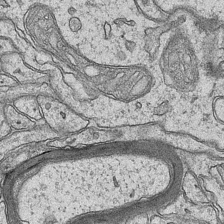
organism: Mouse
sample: CA1 Hippocampus